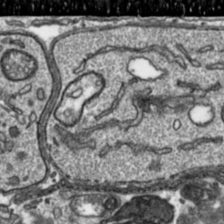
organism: Toxoplasma gondii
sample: Parasites in a vacuole inside a host cell